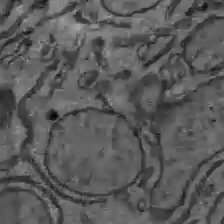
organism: C57BL Mouse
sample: Liver